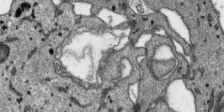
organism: Human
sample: Lung epithelial cells, uninfected (mock) control